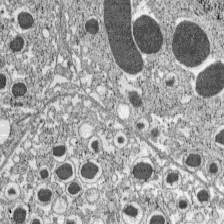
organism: C57BL Mouse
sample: Pancreatic islet